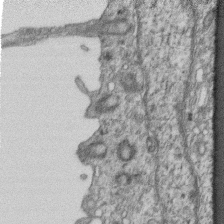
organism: Mouse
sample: Centriole in ependymal cells